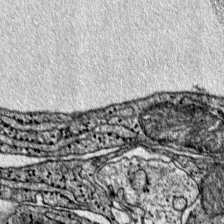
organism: Mouse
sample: Primary visual cortex